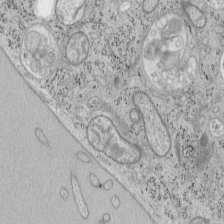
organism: Mouse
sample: OT-I killer T cells with ID8 ovarian cancer cells